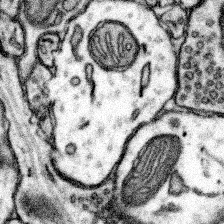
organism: Mouse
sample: Somatosensory cortex neuropil